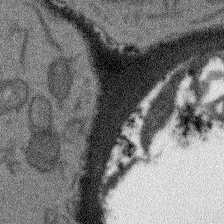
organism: Arabidopsis thaliana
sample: Root tip